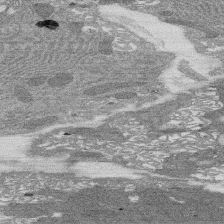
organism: Rat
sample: Salivary granule